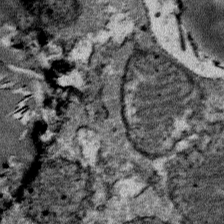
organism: Mouse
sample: Mouse Salivary gland